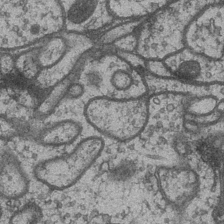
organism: Drosophila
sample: Optic medulla